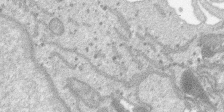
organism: Human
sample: Lung epithelial cells infected with SARS-CoV-2